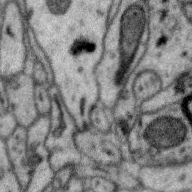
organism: Zebra finch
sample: Brain